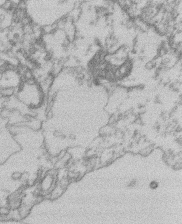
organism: Mouse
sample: T cell stromal cell synapse